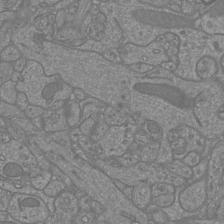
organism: Mouse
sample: Cortical neurons